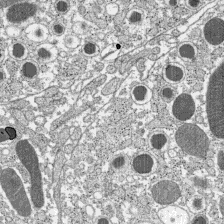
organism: C57BL Mouse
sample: Pancreatic islet